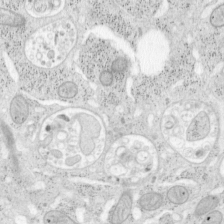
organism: Mouse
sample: OT-I killer T cells with ID8 ovarian cancer cells